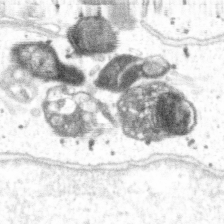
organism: Human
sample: HeLa cells